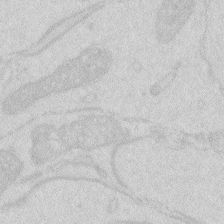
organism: Zebrafish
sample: Macrophage